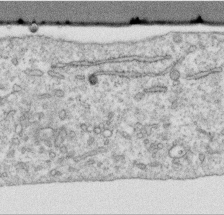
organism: Human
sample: Centriole in RPE cells